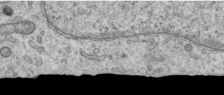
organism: Human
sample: Centriole in RPE cells